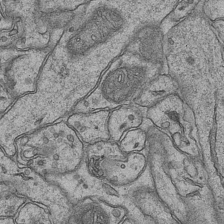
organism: Mouse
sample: CA1 Hippocampus